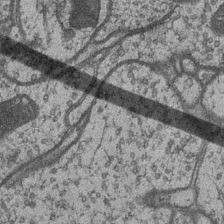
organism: Drosophila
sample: Optic medulla